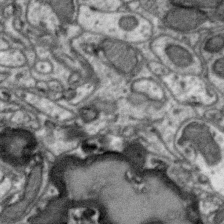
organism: Zebra finch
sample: Brain